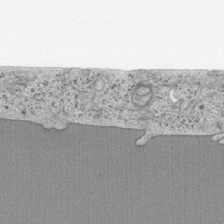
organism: Human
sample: HeLa cells